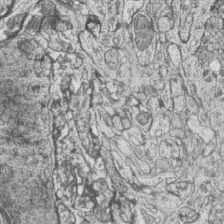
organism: Zebrafish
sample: synaptic ribbons in rod cells and cone cells